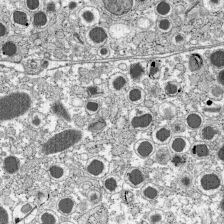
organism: C57BL Mouse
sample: Pancreatic islet